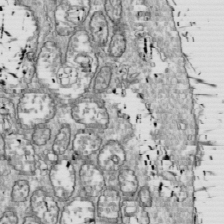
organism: Drosophila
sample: Cell division; meiosis; drosophila spermatocytes